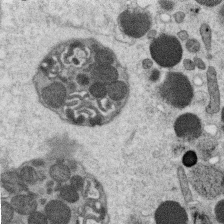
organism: C. elegans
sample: C. elegans oocyte; sperm cells